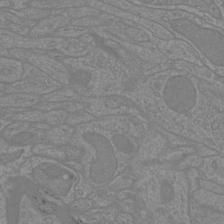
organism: Mouse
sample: Cortical neurons